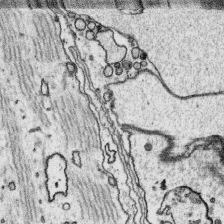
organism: Platynereis dumerilii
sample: Parapodia